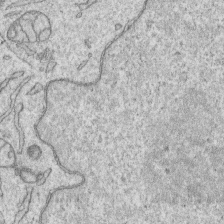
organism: Human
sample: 1205lu cells